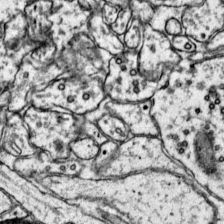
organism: Mouse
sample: Primary visual cortex